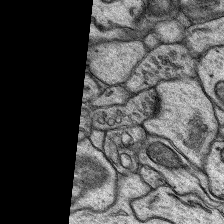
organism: Rat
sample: Hippocampus